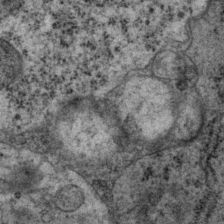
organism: P. pacificus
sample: Pharynx